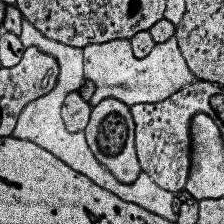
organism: Human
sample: Temporal Lobe